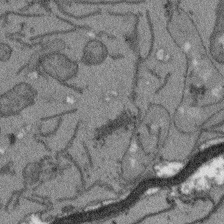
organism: Arabidopsis thaliana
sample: Root tip